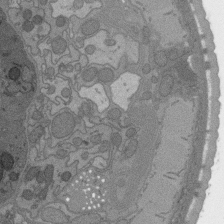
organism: C. elegans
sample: AFD neurons C. elegans